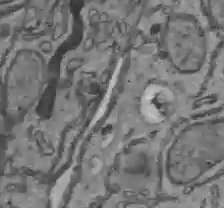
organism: C57BL Mouse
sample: Liver